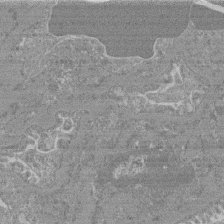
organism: Mouse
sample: Glomerulus